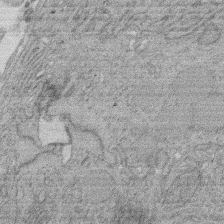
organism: Rat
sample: Salivary granule